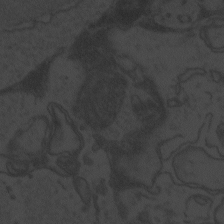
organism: Zebrafish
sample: Macrophage infected with Toxoplasma gondii